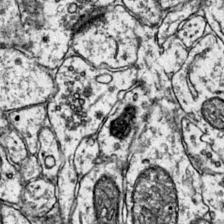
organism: Mouse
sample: Primary visual cortex